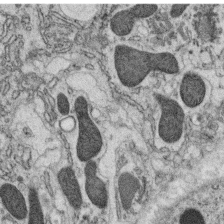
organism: C. elegans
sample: C. elegans oocyte; sperm cells